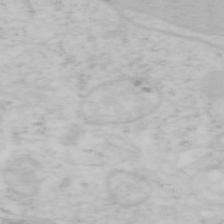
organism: Mouse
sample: OT-I killer T cells with ID8 ovarian cancer cells